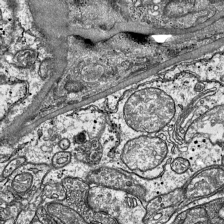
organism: Mouse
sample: Visual Cortex